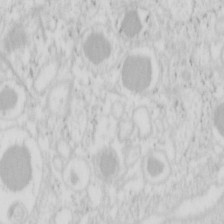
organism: Mouse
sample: Pancreas